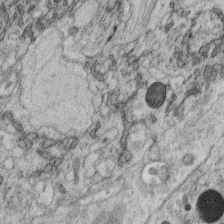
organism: C. elegans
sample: C. elegans oocyte; sperm cells